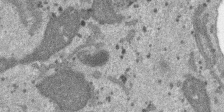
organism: Human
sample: Lung epithelial cells infected with SARS-CoV-2